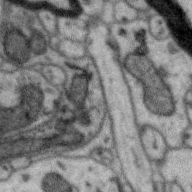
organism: Zebra finch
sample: Brain